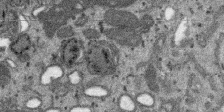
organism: Human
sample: Lung epithelial cells infected with SARS-CoV-2